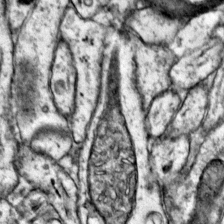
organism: Mouse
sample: Primary visual cortex